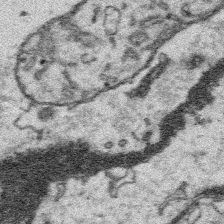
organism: Platynereis dumerilii